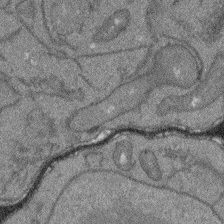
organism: Arabidopsis thaliana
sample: Root tip